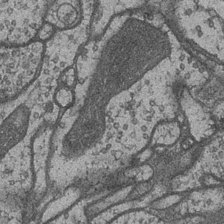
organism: Drosophila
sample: Optic medulla